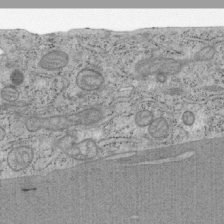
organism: Human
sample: HeLa cells